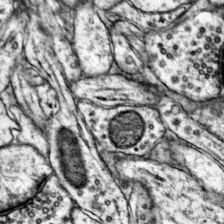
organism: Mouse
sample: Primary visual cortex